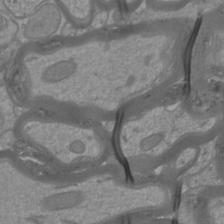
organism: Mouse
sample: Cortical neurons